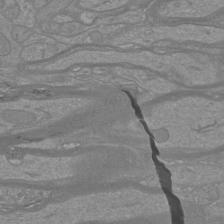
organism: Mouse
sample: Cortical neurons